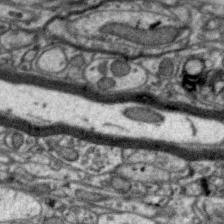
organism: Zebra finch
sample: Brain